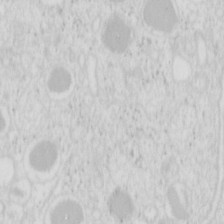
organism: Mouse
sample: Pancreas